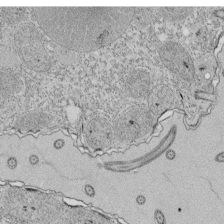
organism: Tetrahymena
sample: Cilia in tetrahymena